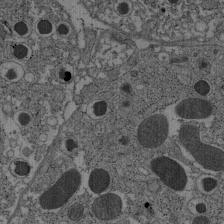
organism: C57BL Mouse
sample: Pancreatic islet